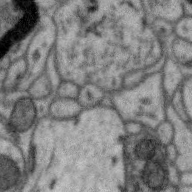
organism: Zebra finch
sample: Brain